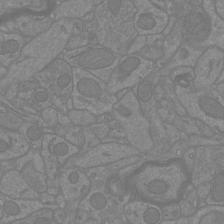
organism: Mouse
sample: Cortical neurons